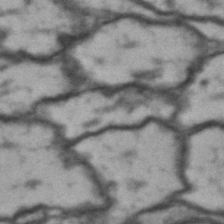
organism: Drosophila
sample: Brain